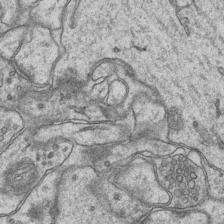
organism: Mouse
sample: CA1 Hippocampus